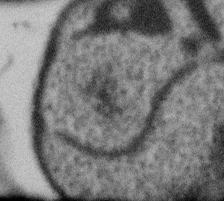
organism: Gemmata obscuriglobus